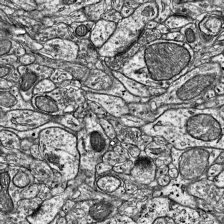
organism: Mouse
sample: Visual Cortex